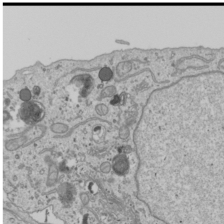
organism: Human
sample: Mitochondria in U2OS cells